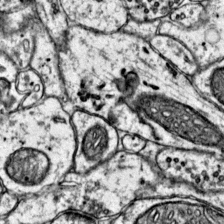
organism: Mouse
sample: Primary visual cortex